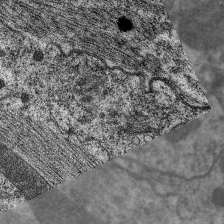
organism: C. elegans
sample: Pharynx